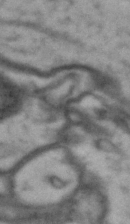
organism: Drosophila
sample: Brain